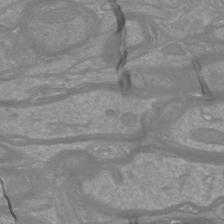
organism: Mouse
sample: Cortical neurons